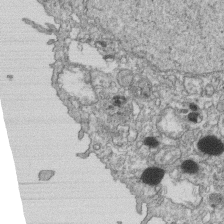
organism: Human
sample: HeLa cell HIV synapse